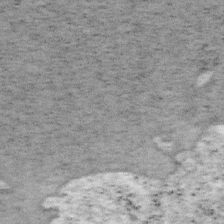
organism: Mouse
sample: OT-I killer T cells with ID8 ovarian cancer cells